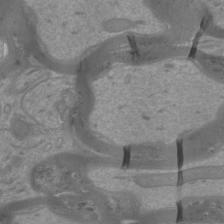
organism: Mouse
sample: Cortical neurons